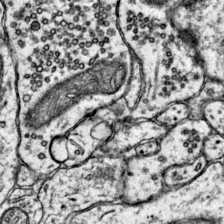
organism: Mouse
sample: Primary visual cortex